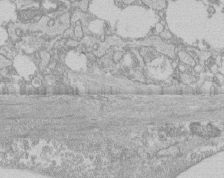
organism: Human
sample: CRL-1474